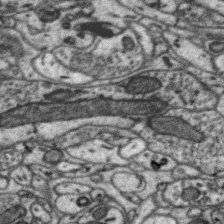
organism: Zebra finch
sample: Brain